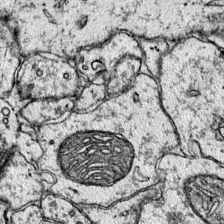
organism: Mouse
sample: Primary visual cortex